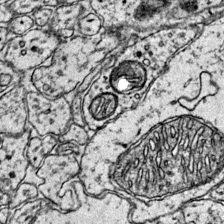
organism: Mouse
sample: Primary visual cortex